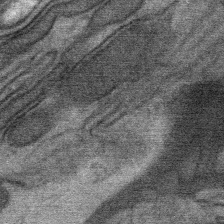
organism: Mouse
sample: Mouse Salivary gland